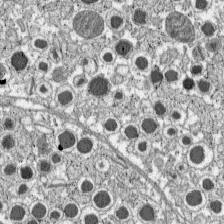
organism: C57BL Mouse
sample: Pancreatic islet